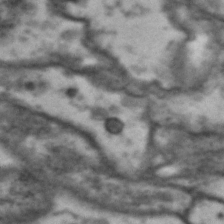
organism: Drosophila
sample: Brain